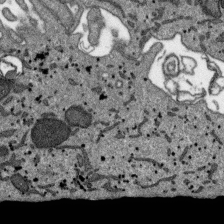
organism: Human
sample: Lung epithelial cells, uninfected (mock) control